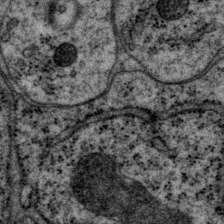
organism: P. pacificus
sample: Pharynx